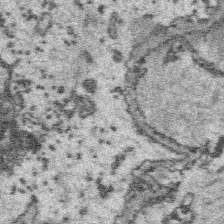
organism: Platynereis dumerilii